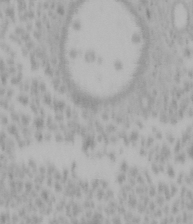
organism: Mouse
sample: OT-I killer T cells with ID8 ovarian cancer cells